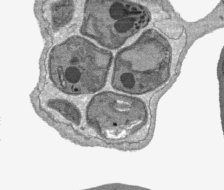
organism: Plasmodium falciparum